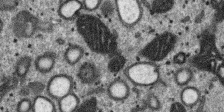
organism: Human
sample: Lung epithelial cells infected with SARS-CoV-2